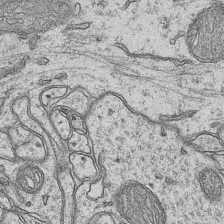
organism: Mouse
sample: CA1 Hippocampus